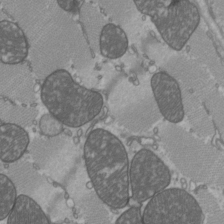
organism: C57BL Mouse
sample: Heart